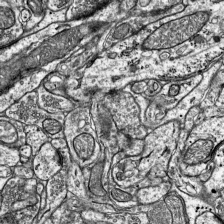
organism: Mouse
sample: Visual Cortex